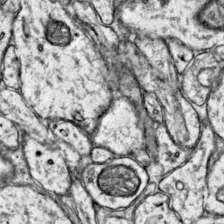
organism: Mouse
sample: Primary visual cortex